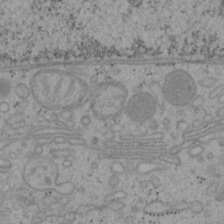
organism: Human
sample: HeLa cells